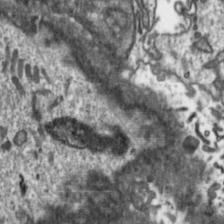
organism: Toxoplasma gondii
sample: Parasites in a vacuole inside a host cell